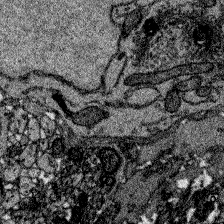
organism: Zebrafish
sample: Larval olfactory bulb